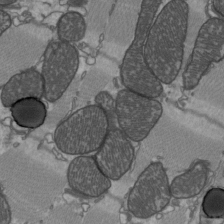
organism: C57BL Mouse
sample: Heart